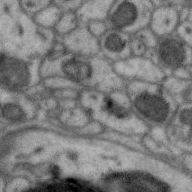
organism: Zebra finch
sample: Brain